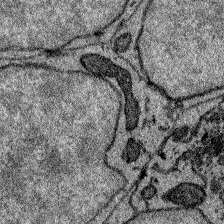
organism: Zebrafish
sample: Larval olfactory bulb